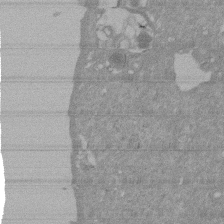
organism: Mouse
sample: ED-1 cell nuclei; centrioles